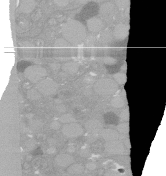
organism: C. elegans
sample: C. elegans oocyte; sperm cells